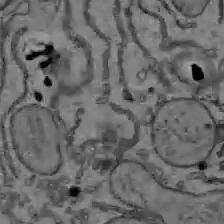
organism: C57BL Mouse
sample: Liver